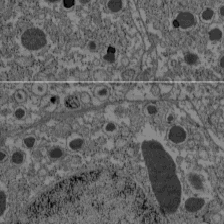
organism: C57BL Mouse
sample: Pancreatic islet